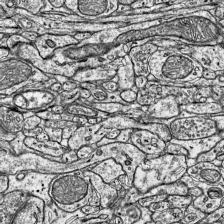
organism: Mouse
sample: Visual Cortex